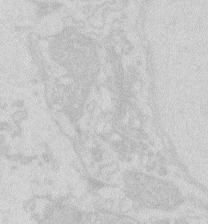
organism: Zebrafish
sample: Macrophage